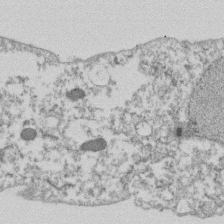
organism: Dictyostelium discoideum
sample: Dictyostelium multivesicular bodies